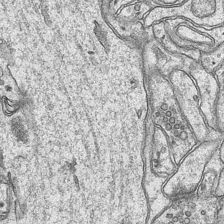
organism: Mouse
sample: CA1 Hippocampus